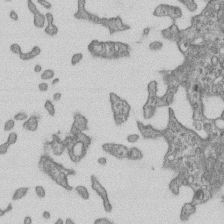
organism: Mouse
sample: Centriole in ependymal cells